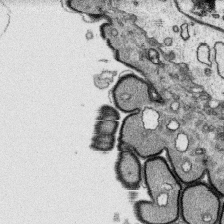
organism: Platynereis dumerilii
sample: Parapodia